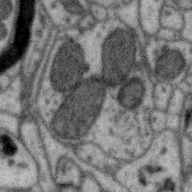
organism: Zebra finch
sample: Brain